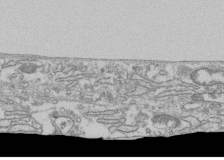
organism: Human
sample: Fibroblast cells